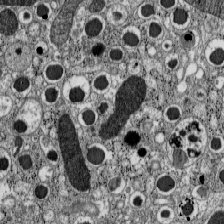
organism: C57BL Mouse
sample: Pancreatic islet